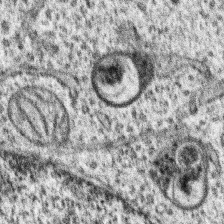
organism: Human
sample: HeLa cells